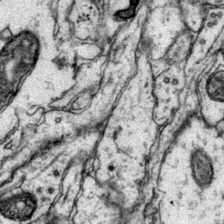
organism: Mouse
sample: Primary visual cortex